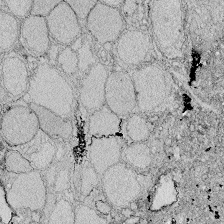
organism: Zebrafish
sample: Whole-Brain